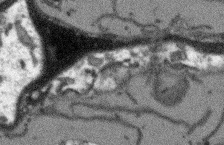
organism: Arabidopsis thaliana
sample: Root tip